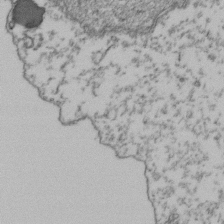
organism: Human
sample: Activated Jurkat CD4+ T cells